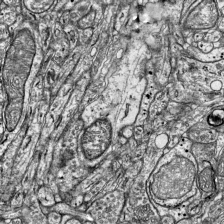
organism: Mouse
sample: Visual Cortex